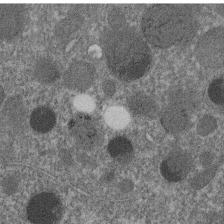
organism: C. elegans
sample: C. elegans embryo early stage